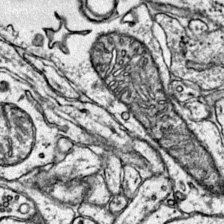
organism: Mouse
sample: Primary visual cortex